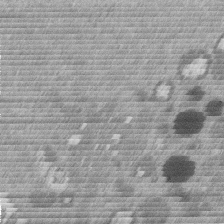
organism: Mouse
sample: Dividing mouse embryo 1 cell stage